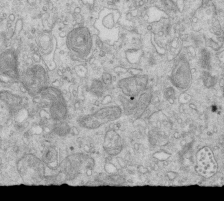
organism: Mouse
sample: Multiciliated cells